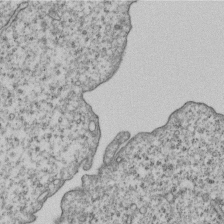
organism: Human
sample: MDA-MB-231 cells